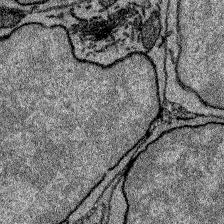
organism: Zebrafish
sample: Larval olfactory bulb